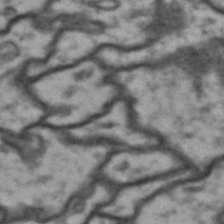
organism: Drosophila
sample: Brain